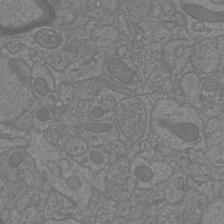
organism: Mouse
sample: Cortical neurons